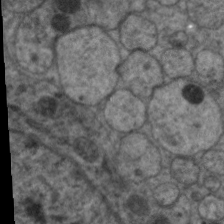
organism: C. elegans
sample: Pharynx